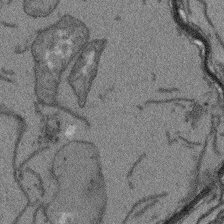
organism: Arabidopsis thaliana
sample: Root tip